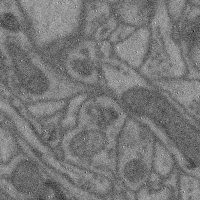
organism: Mouse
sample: Cerebral cortex